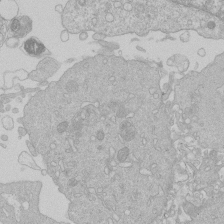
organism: Human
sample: Macrophage cells